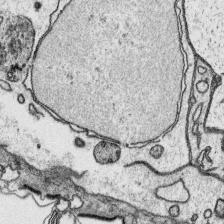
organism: Platynereis dumerilii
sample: Parapodia